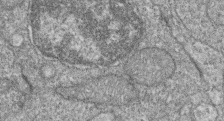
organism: Zebrafish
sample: Cilia; retinal pigment epithelium